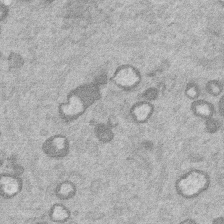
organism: Mouse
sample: Dividing mouse embryo 1 cell stage